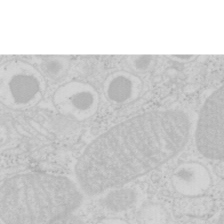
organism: Mouse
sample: Pancreas